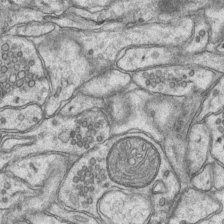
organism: Mouse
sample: CA1 Hippocampus